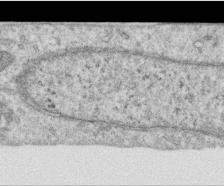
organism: Human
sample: Centriole in RPE cells